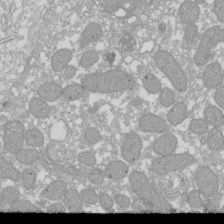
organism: Xenopus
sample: Cilia; centrioles in frog embryo cells